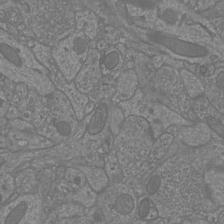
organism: Mouse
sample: Cortical neurons